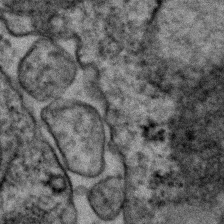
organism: Human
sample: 1205lu cells